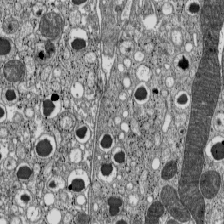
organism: C57BL Mouse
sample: Pancreatic islet